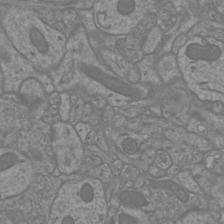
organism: Mouse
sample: Cortical neurons